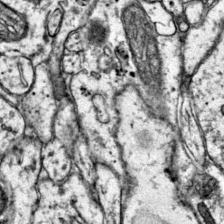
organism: Mouse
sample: Primary visual cortex